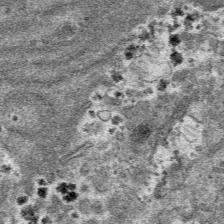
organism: Mouse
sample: Mouse hepatocytes